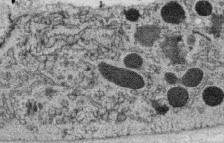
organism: C. elegans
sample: C. elegans oocyte; sperm cells